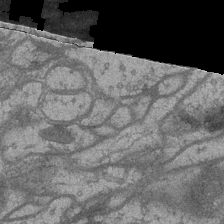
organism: Drosophila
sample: Optic medulla